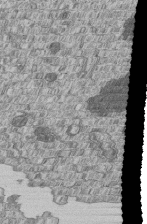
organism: Human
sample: MDA-MB-231 cells